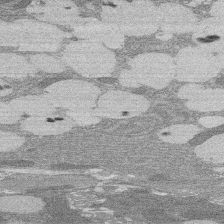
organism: Rat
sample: Salivary granule